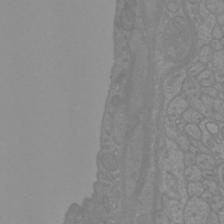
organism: Mouse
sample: Cortical neurons